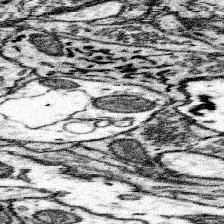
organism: Mouse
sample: Somatosensory cortex neuropil